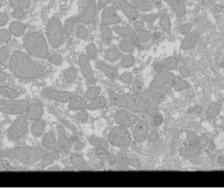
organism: Xenopus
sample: Cilia; centrioles in frog embryo cells